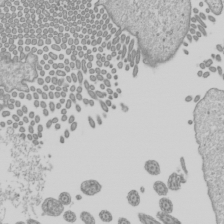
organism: Mouse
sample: Cilia; mouse epididymis